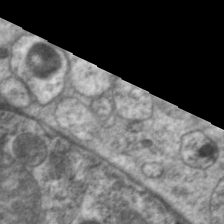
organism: C. elegans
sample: Pharynx